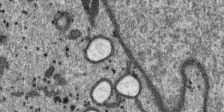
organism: Human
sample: Lung epithelial cells infected with SARS-CoV-2